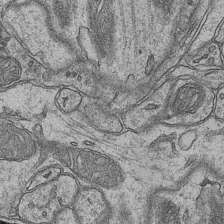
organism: Mouse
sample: CA1 Hippocampus